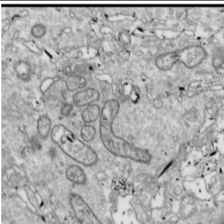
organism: Drosophila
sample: Cell division; meiosis; drosophila spermatocytes